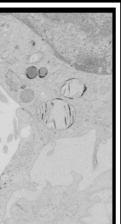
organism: Human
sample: Mitochondria in HCT116 cells